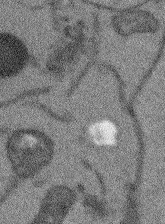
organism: Arabidopsis thaliana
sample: Root tip